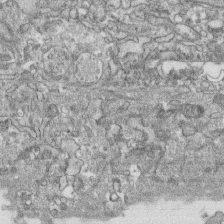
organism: Human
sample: CRL-1474